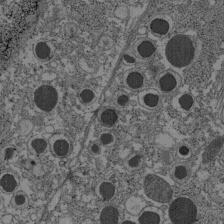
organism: C57BL Mouse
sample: Pancreatic islet